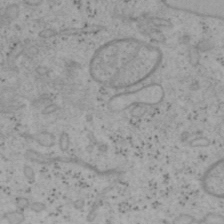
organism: Human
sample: HeLa cells